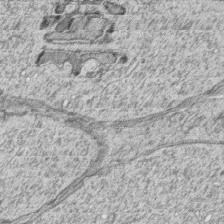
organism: Zebrafish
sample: synaptic ribbons in rod cells and cone cells